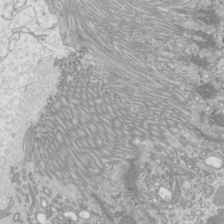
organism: Mouse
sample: Cilia; mouse epididymis